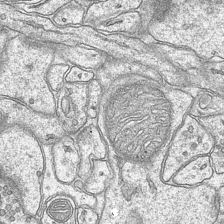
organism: Mouse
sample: CA1 Hippocampus